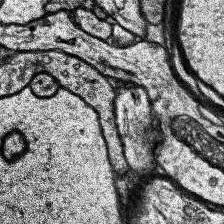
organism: Human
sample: Temporal Lobe